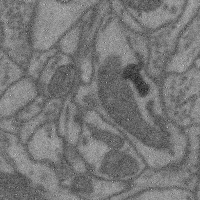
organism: Mouse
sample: Cerebral cortex